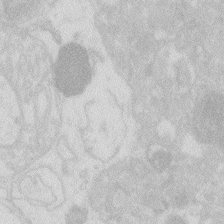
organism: Zebrafish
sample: Macrophage